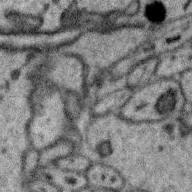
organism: Zebra finch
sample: Brain